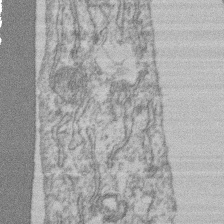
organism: Mouse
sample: T cell stromal cell synapse